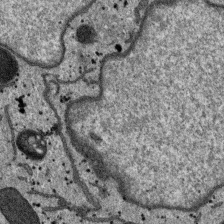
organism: Human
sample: Lung epithelial cells, uninfected (mock) control